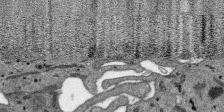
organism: Human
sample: Lung epithelial cells, uninfected (mock) control